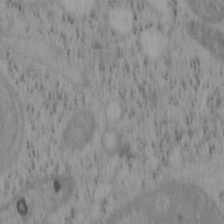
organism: Mouse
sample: OT-I killer T cells with ID8 ovarian cancer cells